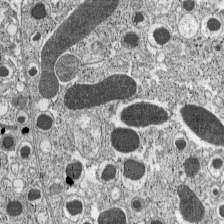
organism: C57BL Mouse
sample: Pancreatic islet